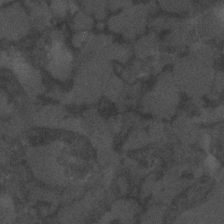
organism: C. elegans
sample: C. elegans embryo